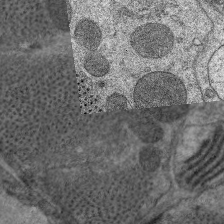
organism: C. elegans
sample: Pharynx